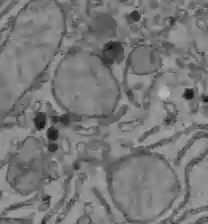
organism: C57BL Mouse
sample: Liver